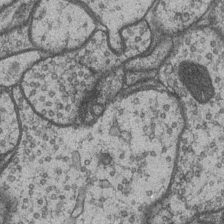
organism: Drosophila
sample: Optic medulla